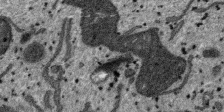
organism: Human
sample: Lung epithelial cells, uninfected (mock) control